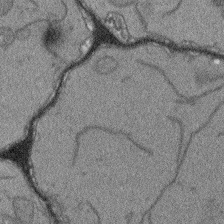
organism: Arabidopsis thaliana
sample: Root tip